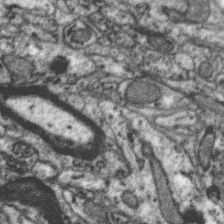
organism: Zebra finch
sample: Brain